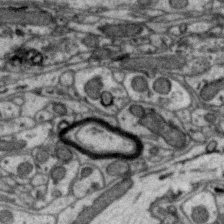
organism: Zebra finch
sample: Brain